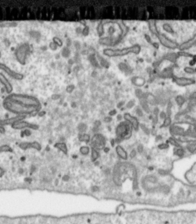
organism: Toxoplasma gondii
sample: Parasites in a vacuole inside a host cell